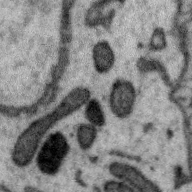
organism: Zebra finch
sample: Brain